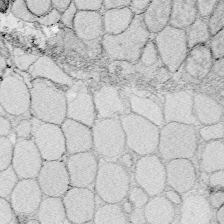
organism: Zebrafish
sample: Whole-Brain